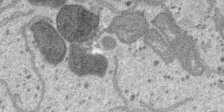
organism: Human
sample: Lung epithelial cells infected with SARS-CoV-2